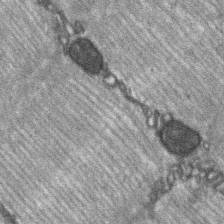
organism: C57BL Mouse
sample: Soleus